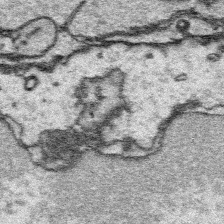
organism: Platynereis dumerilii